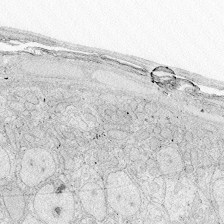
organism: Zebrafish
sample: Whole-Brain